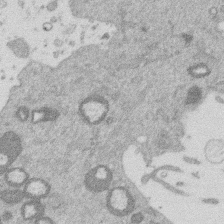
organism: Mouse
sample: Dividing mouse embryo 1 cell stage